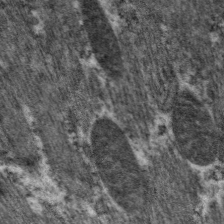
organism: C. elegans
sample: Pharynx